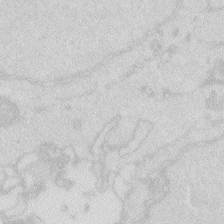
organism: Zebrafish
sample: Macrophage